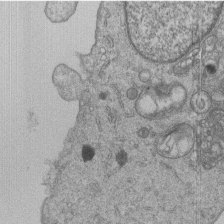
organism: Human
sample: MDA-MB-231 cells